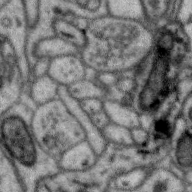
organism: Zebra finch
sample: Brain